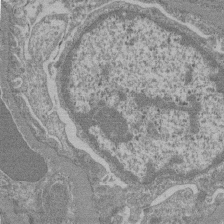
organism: Mouse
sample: Glomerulus